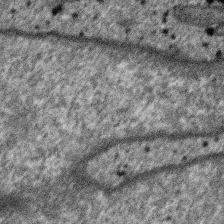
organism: Human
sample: Lung epithelial cells infected with SARS-CoV-2